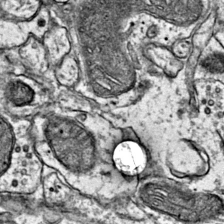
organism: Mouse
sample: Primary visual cortex